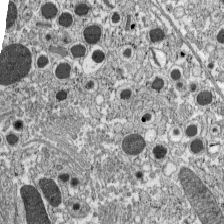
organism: C57BL Mouse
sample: Pancreatic islet